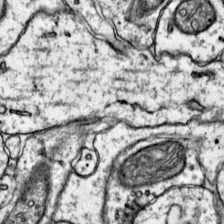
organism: Mouse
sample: Primary visual cortex